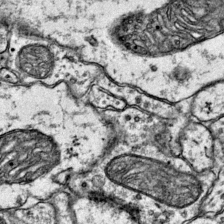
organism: Mouse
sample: Primary visual cortex